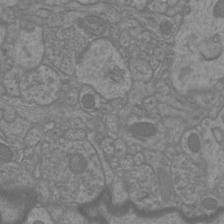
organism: Mouse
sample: Cortical neurons